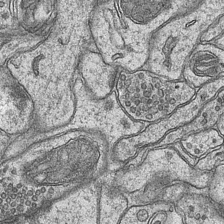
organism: Mouse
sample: CA1 Hippocampus